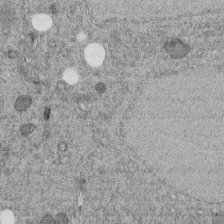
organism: C. elegans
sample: C. elegans embryo early stage